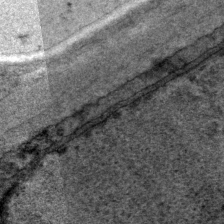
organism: P. pacificus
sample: Pharynx